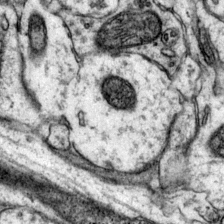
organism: Mouse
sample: Primary visual cortex